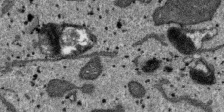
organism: Human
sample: Lung epithelial cells, uninfected (mock) control